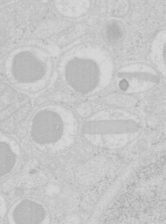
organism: Mouse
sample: Pancreas